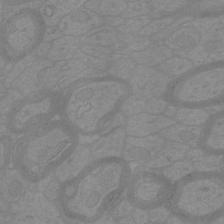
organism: Mouse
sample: Cortical neurons